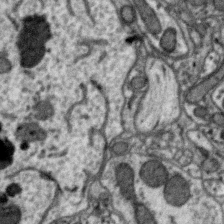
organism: Zebra finch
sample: Brain